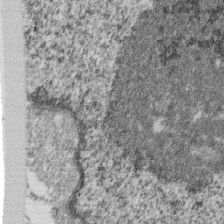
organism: African green monkey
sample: Vero E6 cells infected with SARS-CoV-2